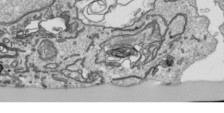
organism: Human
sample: Mitochondria in HCT116 cells